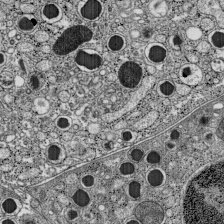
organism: C57BL Mouse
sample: Pancreatic islet